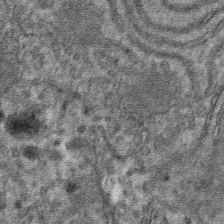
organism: Mouse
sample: Mouse hepatocytes